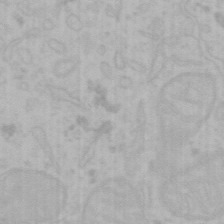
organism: Mouse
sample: Choroid plexus